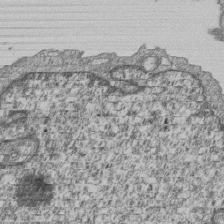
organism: Human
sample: MDA-MB-231 cells